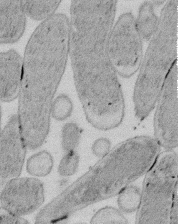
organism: E. coli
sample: Bacterial nucleoid